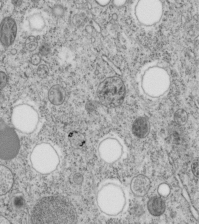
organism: C. elegans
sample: C. elegans embryo early stage